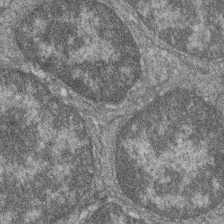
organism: Zebrafish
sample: Cilia; retinal pigment epithelium